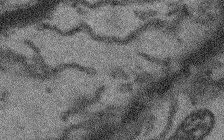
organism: Arabidopsis thaliana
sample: Root tip